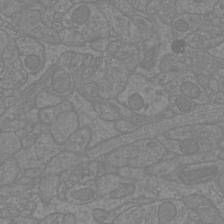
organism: Mouse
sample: Cortical neurons